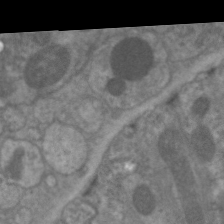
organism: C. elegans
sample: Pharynx